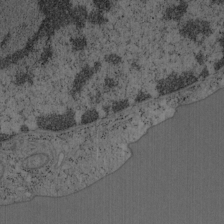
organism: Mouse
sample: OT-I killer T cells with ID8 ovarian cancer cells